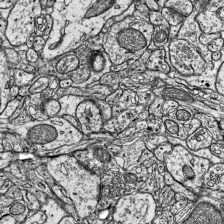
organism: Mouse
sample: Visual Cortex